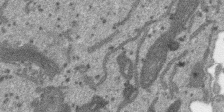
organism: Human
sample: Lung epithelial cells infected with SARS-CoV-2